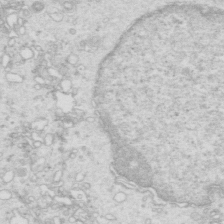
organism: Mouse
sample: Multiciliated cells